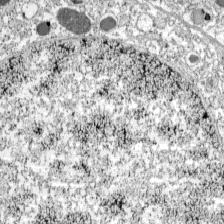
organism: C57BL Mouse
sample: Pancreatic islet